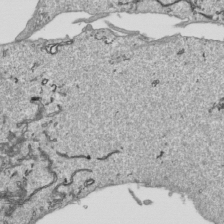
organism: Human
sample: Mitochondria in HCT116 cells